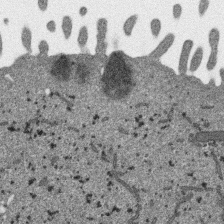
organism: Human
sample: Lung epithelial cells infected with SARS-CoV-2